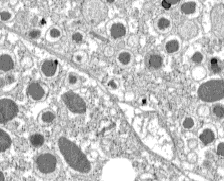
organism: C57BL Mouse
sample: Pancreatic islet